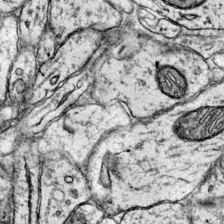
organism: Mouse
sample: Primary visual cortex